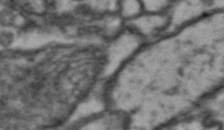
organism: Drosophila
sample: Brain